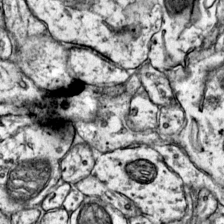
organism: Mouse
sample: Primary visual cortex